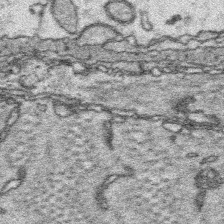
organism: Platynereis dumerilii